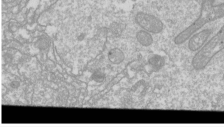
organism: Drosophila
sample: Cell division; meiosis; drosophila spermatocytes